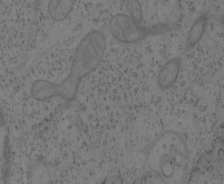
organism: Mouse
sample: OT-I killer T cells with ID8 ovarian cancer cells